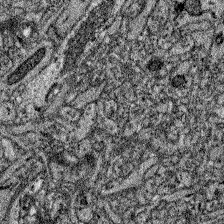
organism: Zebrafish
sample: Larval olfactory bulb